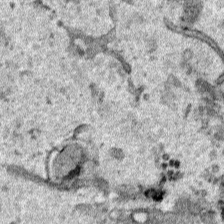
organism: Human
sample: Mitochondria in HCT116 cells